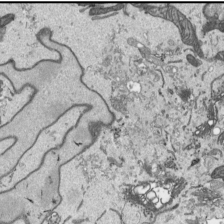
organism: Human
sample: Mitochondria in HCT116 cells